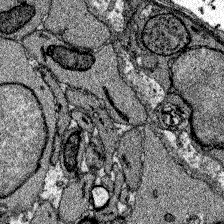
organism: Zebrafish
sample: Larval olfactory bulb